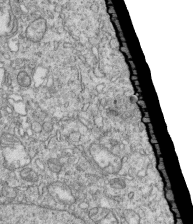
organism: Human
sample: HeLa cell HIV synapse